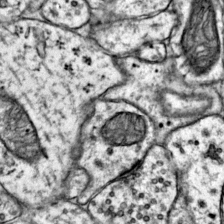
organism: Mouse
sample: Primary visual cortex